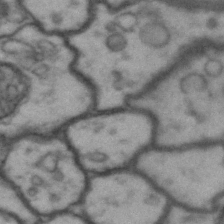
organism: Drosophila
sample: Brain